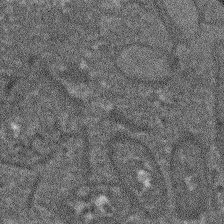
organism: Arabidopsis thaliana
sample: Root tip